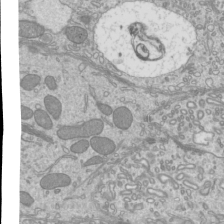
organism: Mouse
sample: Cilia; mouse epididymis